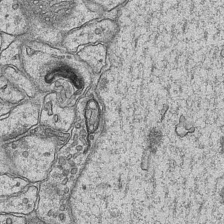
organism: Mouse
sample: CA1 Hippocampus